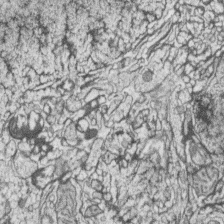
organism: Zebrafish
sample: synaptic ribbons in rod cells and cone cells